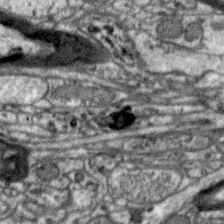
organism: Zebra finch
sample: Brain